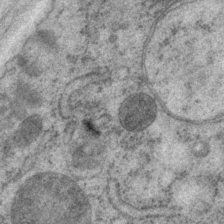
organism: P. pacificus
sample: Pharynx